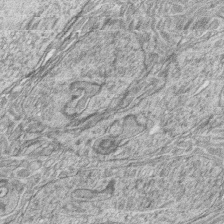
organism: Zebrafish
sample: synaptic ribbons in rod cells and cone cells